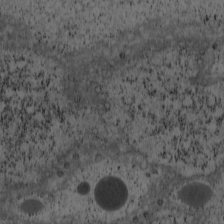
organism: African green monkey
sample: COS-7 cells